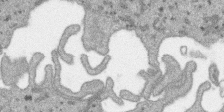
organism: Human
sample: Lung epithelial cells infected with SARS-CoV-2